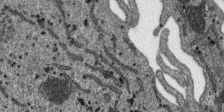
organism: Human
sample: Lung epithelial cells infected with SARS-CoV-2